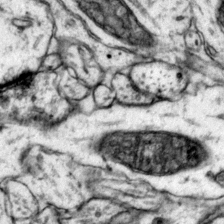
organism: Mouse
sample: Primary visual cortex